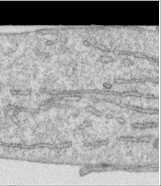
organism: Human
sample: Centriole in RPE cells